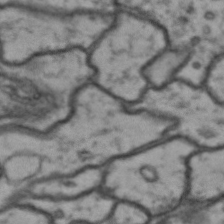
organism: Drosophila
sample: Brain